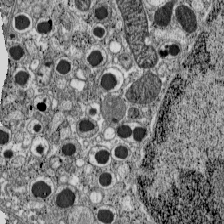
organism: C57BL Mouse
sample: Pancreatic islet